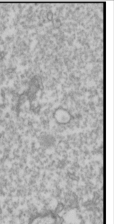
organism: Drosophila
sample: Cell division; meiosis; drosophila spermatocytes